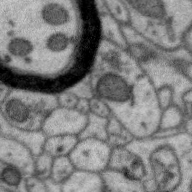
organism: Zebra finch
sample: Brain